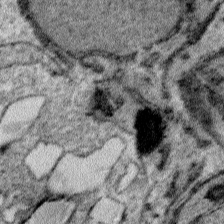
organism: Plasmodium falciparum